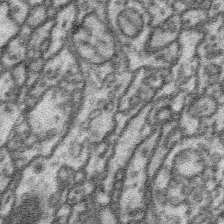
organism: Platynereis dumerilii